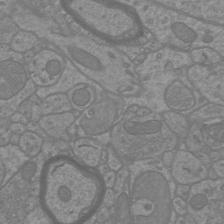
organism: Mouse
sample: Cortical neurons